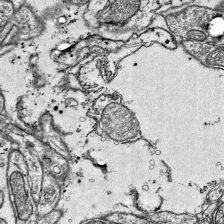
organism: Mouse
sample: Visual Cortex